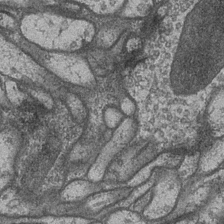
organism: Drosophila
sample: Optic medulla